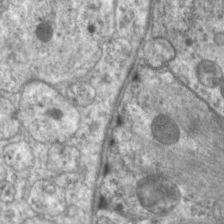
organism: C. elegans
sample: Pharynx